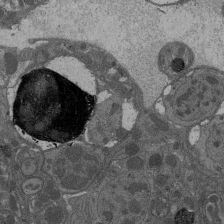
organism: Drosophila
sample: Antenna